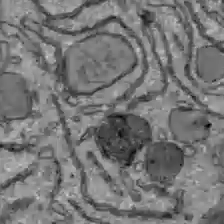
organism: C57BL Mouse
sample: Liver